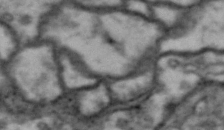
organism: Drosophila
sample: Brain